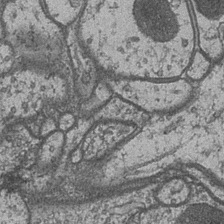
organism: Drosophila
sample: Optic medulla